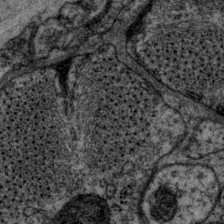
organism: P. pacificus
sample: Pharynx